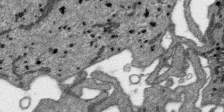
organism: Human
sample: Lung epithelial cells, uninfected (mock) control